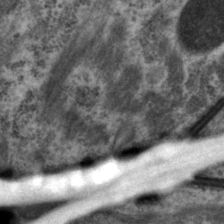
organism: P. pacificus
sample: Pharynx